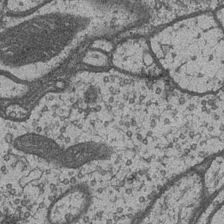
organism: Drosophila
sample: Optic medulla